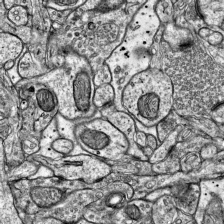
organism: Mouse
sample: Visual Cortex